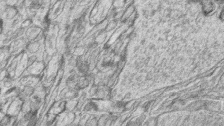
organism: Zebrafish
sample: synaptic ribbons in rod cells and cone cells